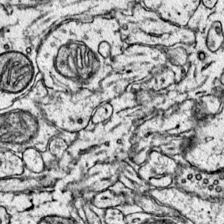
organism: Mouse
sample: Primary visual cortex